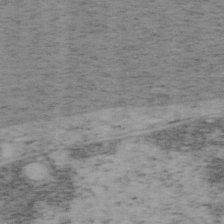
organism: Mouse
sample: OT-I killer T cells with ID8 ovarian cancer cells